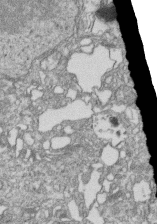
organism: Human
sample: HeLa cell HIV synapse